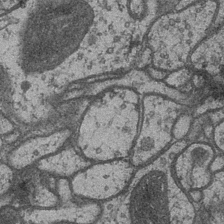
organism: Drosophila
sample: Optic medulla